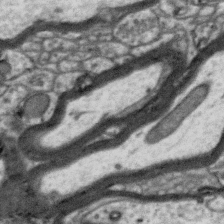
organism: Zebra finch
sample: Brain